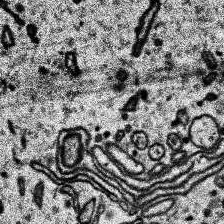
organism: Human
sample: Temporal Lobe